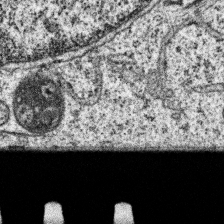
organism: Human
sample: HeLa cells